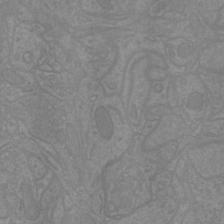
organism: Mouse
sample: Cortical neurons